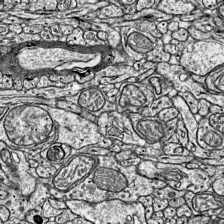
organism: Mouse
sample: Visual Cortex